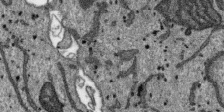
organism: Human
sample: Lung epithelial cells, uninfected (mock) control